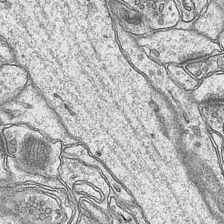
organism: Mouse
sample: CA1 Hippocampus